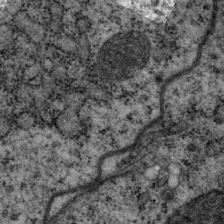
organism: P. pacificus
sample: Pharynx